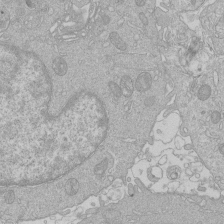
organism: Human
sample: Macrophage cells